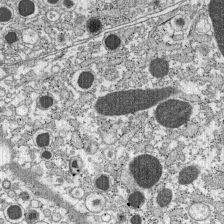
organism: C57BL Mouse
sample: Pancreatic islet